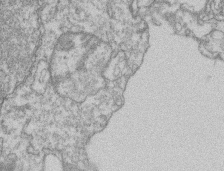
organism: Mouse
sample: T cell stromal cell synapse